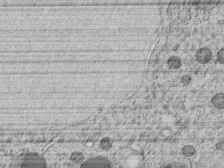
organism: C. elegans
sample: C. elegans embryo early stage